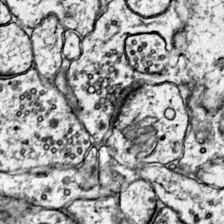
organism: Mouse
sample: Primary visual cortex